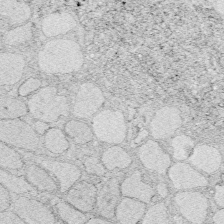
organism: Zebrafish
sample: Whole-Brain